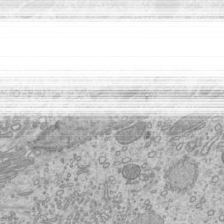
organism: Mouse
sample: Cilia; mouse epididymis